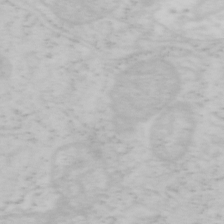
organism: Mouse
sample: OT-I killer T cells with ID8 ovarian cancer cells